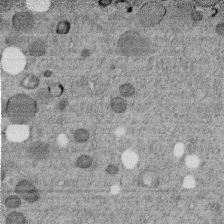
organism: C. elegans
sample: C. elegans embryo early stage